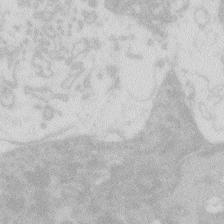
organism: Zebrafish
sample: Macrophage